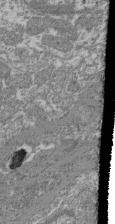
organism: Mouse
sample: Glomerulus